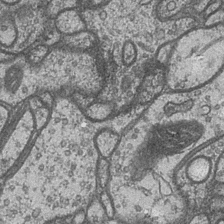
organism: Drosophila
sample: Optic medulla